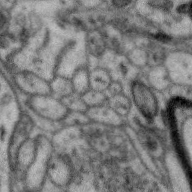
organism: Zebra finch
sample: Brain